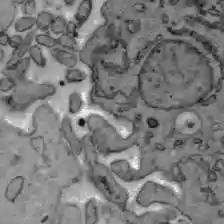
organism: C57BL Mouse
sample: Liver